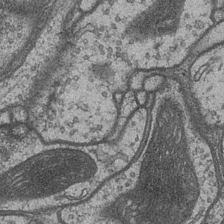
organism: Drosophila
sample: Optic medulla